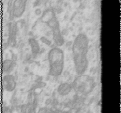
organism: Human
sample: Cilia; basal body in RPE cells